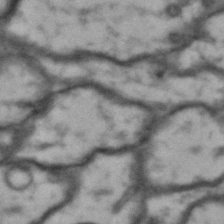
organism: Drosophila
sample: Brain